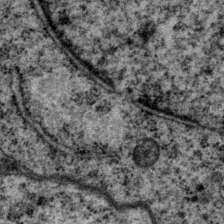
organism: P. pacificus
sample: Pharynx